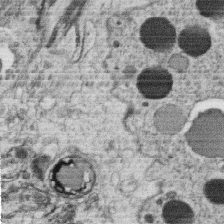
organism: C. elegans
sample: C. elegans oocyte; sperm cells